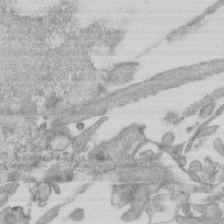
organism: Mouse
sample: Centriole in ependymal cells